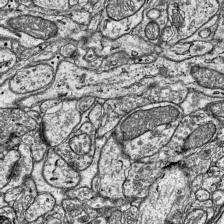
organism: Mouse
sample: Visual Cortex